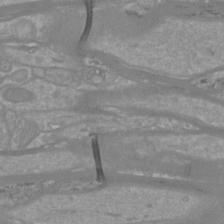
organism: Mouse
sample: Cortical neurons